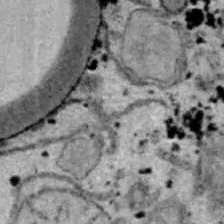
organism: Mouse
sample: Liver from an obese (ob/ob) mouse